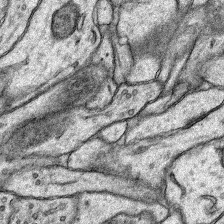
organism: Rat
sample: Hippocampus